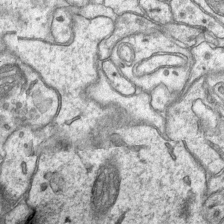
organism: Mouse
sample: CA1 Hippocampus